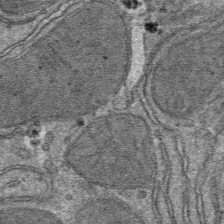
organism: Mouse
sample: Mouse hepatocytes